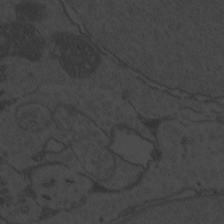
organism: Zebrafish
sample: Macrophage infected with Toxoplasma gondii